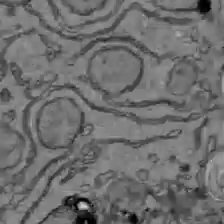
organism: C57BL Mouse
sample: Liver